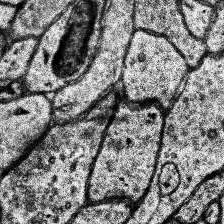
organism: Human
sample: Temporal Lobe